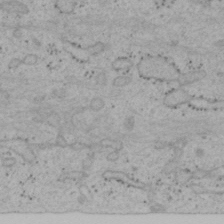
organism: Human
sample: HeLa cells